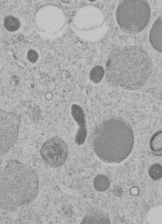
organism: C. elegans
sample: C. elegans embryo early stage